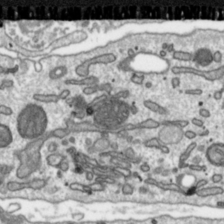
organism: Toxoplasma gondii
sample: Parasites in a vacuole inside a host cell